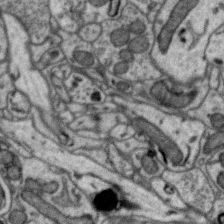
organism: Zebra finch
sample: Brain